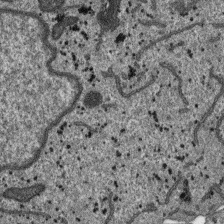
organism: Human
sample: Lung epithelial cells infected with SARS-CoV-2